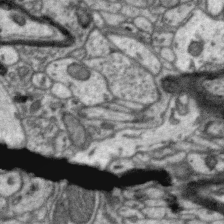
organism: Zebra finch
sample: Brain